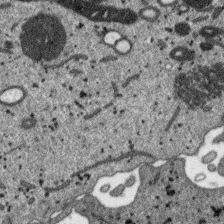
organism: Human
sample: Lung epithelial cells infected with SARS-CoV-2